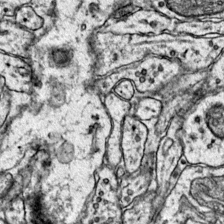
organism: Mouse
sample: Primary visual cortex